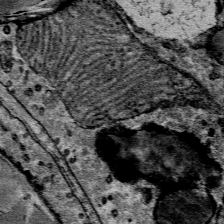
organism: Mouse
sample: Mouse Salivary gland